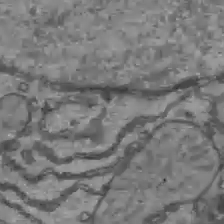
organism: C57BL Mouse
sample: Liver